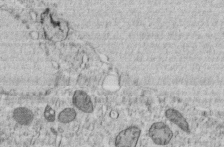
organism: C. elegans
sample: C. elegans embryo early stage